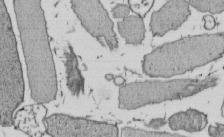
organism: E. coli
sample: Bacterial nucleoid